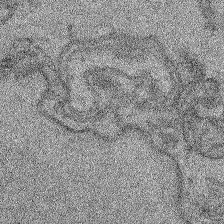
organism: Human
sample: HeLa cells